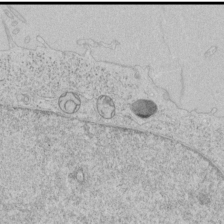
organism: Human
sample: Mitochondria in HCT116 cells